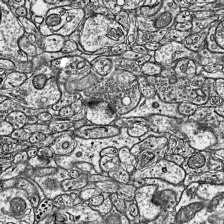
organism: Mouse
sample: Visual Cortex